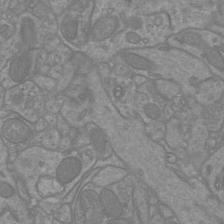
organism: Mouse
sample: Cortical neurons